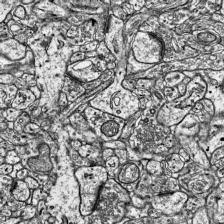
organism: Mouse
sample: Visual Cortex